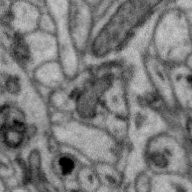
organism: Zebra finch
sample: Brain